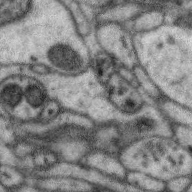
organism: Zebra finch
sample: Brain